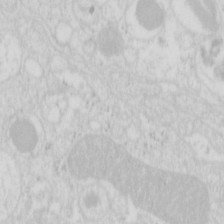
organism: Mouse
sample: Pancreas